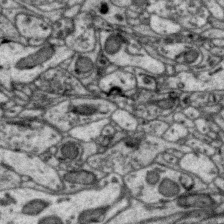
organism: Zebra finch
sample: Brain